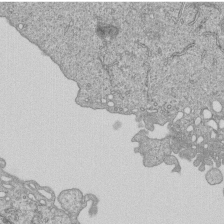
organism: Human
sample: MDA-MB-231 cells